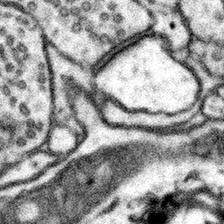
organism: Mouse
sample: Somatosensory cortex neuropil